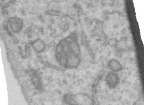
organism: Human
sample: Centriole in RPE cells